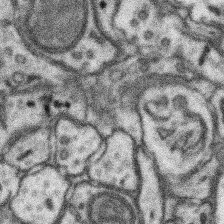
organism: Mouse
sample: Somatosensory cortex neuropil